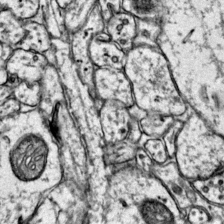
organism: Mouse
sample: Primary visual cortex